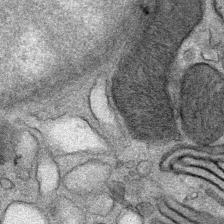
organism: Mouse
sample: Mouse Salivary gland